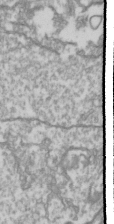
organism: Drosophila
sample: Cell division; meiosis; drosophila spermatocytes